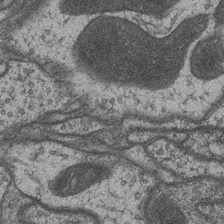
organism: Drosophila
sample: Optic medulla